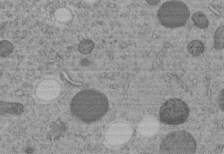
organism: C. elegans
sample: C. elegans embryo early stage